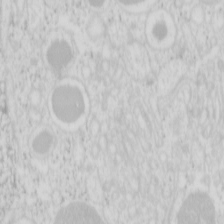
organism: Mouse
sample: Pancreas